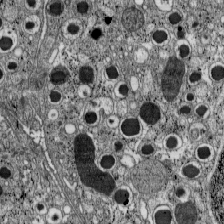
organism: C57BL Mouse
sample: Pancreatic islet